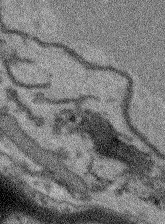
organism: Arabidopsis thaliana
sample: Root tip